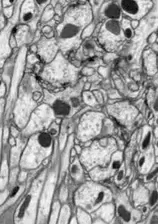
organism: Drosophila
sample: Optic lobe